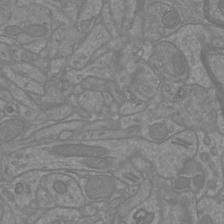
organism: Mouse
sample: Cortical neurons